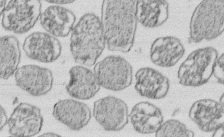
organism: E. coli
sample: Bacterial nucleoid